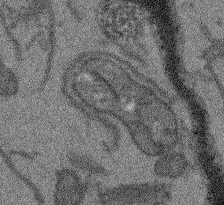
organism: Arabidopsis thaliana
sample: Root tip